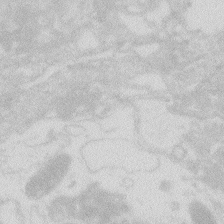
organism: Zebrafish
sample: Macrophage